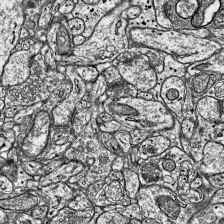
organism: Mouse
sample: Visual Cortex